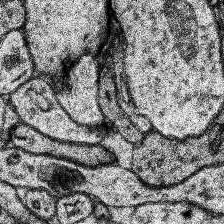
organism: Human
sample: Temporal Lobe